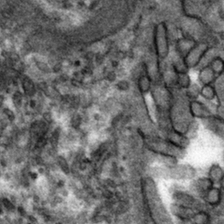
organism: Mouse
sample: Mouse hepatocytes